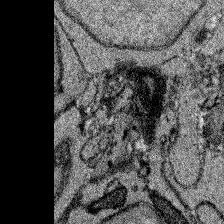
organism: Zebrafish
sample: Larval olfactory bulb